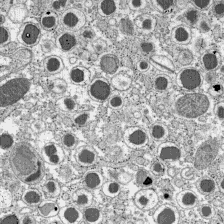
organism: C57BL Mouse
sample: Pancreatic islet